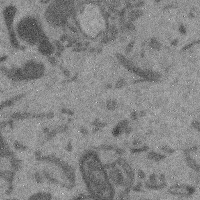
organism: Mouse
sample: Cerebral cortex